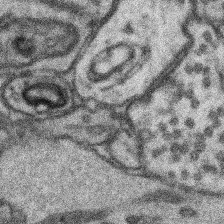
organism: Mouse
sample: Somatosensory cortex neuropil